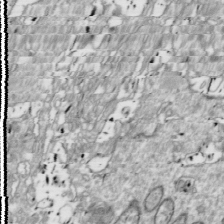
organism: Drosophila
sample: Cell division; meiosis; drosophila spermatocytes